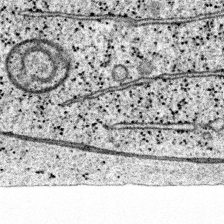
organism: Human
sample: HeLa cells